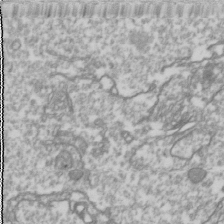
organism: Drosophila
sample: Cell division; meiosis; drosophila spermatocytes